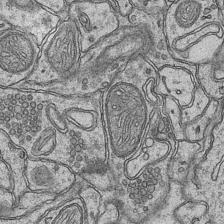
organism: Mouse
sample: CA1 Hippocampus